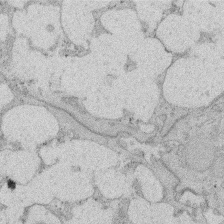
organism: Rat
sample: Salivary granule